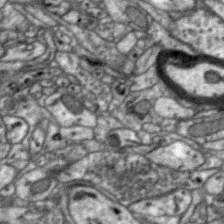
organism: Zebra finch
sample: Brain